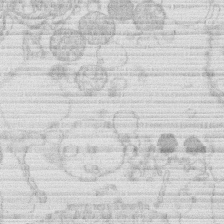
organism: Human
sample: Macrophage cells